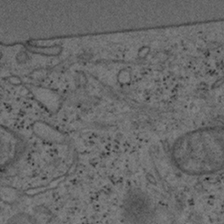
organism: Human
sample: HeLa cells